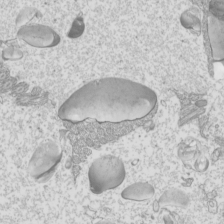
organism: Mouse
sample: Cilia; mouse epididymis